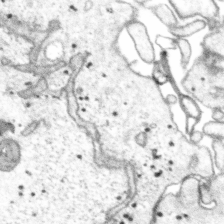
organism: Human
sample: HeLa cells